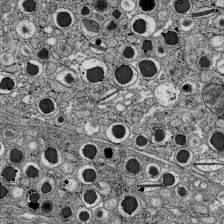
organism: C57BL Mouse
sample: Pancreatic islet